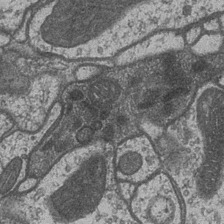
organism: Drosophila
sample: Optic medulla